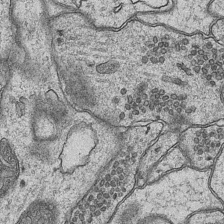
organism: Mouse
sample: CA1 Hippocampus